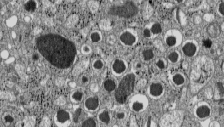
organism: C57BL Mouse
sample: Pancreatic islet